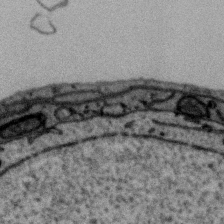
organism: Zebra finch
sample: Brain